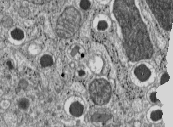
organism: C57BL Mouse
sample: Pancreatic islet